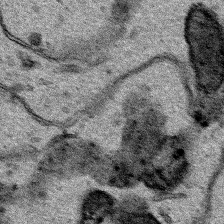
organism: Human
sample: Mitochondria in HCT116 cells